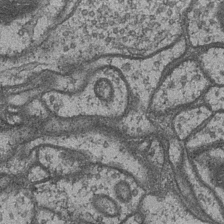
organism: Drosophila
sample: Optic medulla